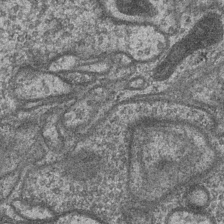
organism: Drosophila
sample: Optic medulla